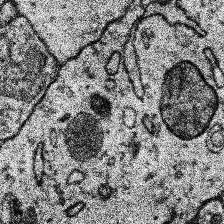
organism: Human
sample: Temporal Lobe